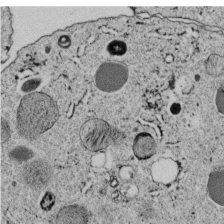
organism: C. elegans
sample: C. elegans embryo early stage